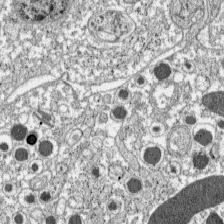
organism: C57BL Mouse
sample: Pancreatic islet